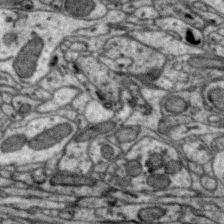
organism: Zebra finch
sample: Brain